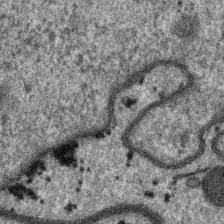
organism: Human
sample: Lung epithelial cells infected with SARS-CoV-2